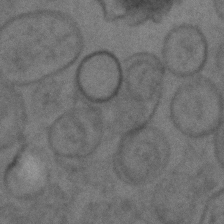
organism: C. elegans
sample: C. elegans embryo